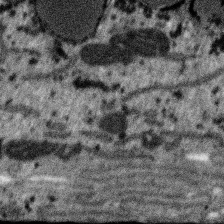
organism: Human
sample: Lung epithelial cells infected with SARS-CoV-2